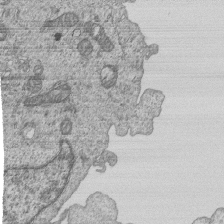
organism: Human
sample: MDA-MB-231 cells